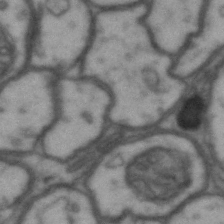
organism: Drosophila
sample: Brain